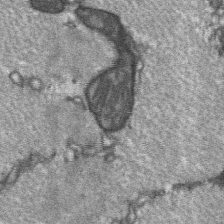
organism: C57BL Mouse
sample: Soleus